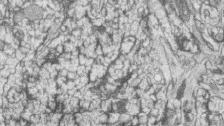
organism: Zebrafish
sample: synaptic ribbons in rod cells and cone cells